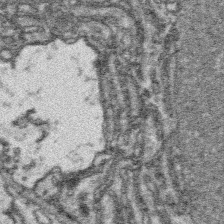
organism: Platynereis dumerilii